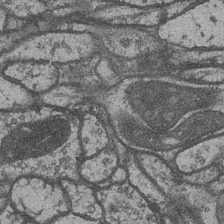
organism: Drosophila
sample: Optic medulla